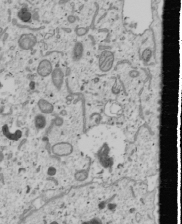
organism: Human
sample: Mitochondria in U2OS cells